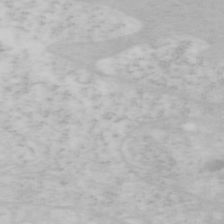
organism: Mouse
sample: OT-I killer T cells with ID8 ovarian cancer cells